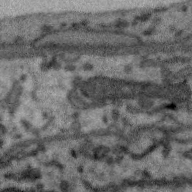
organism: Zebra finch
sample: Brain